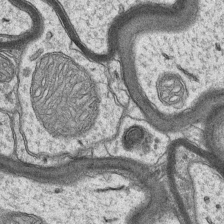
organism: Mouse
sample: CA1 Hippocampus